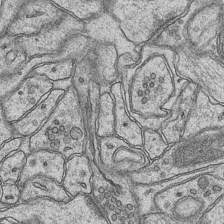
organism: Mouse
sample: CA1 Hippocampus